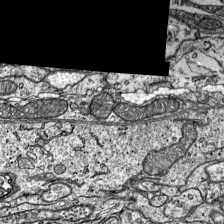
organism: Mouse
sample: Visual Cortex